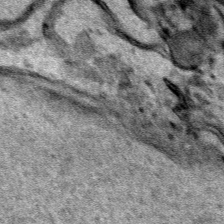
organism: Human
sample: Mitochondria in HCT116 cells